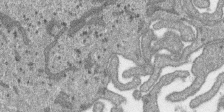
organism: Human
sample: Lung epithelial cells infected with SARS-CoV-2